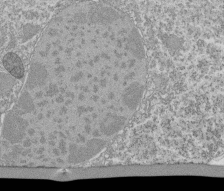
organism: Tetrahymena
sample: Cilia in tetrahymena